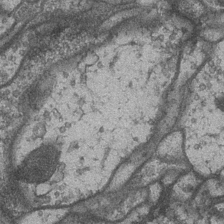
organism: Drosophila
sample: Optic medulla